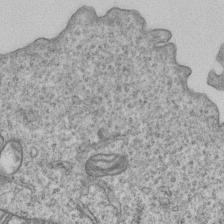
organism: Human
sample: MDA-MB-231 cells